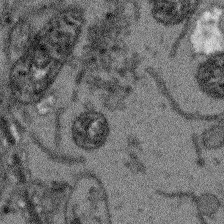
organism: Arabidopsis thaliana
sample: Root tip